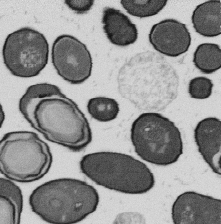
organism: B. subtilis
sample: Bacterial spore